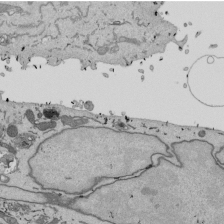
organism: Mouse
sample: ED-1 cell nuclei; centrioles